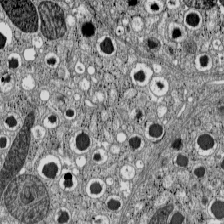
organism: C57BL Mouse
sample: Pancreatic islet